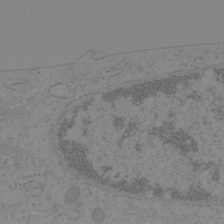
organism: Human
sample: HeLa cells